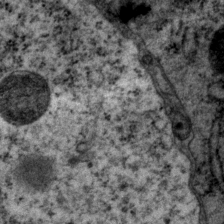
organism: P. pacificus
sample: Pharynx